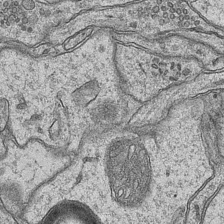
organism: Mouse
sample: CA1 Hippocampus